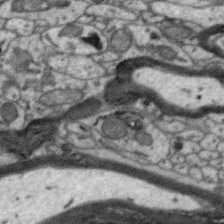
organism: Zebra finch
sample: Brain